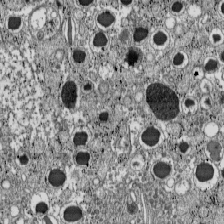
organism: C57BL Mouse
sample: Pancreatic islet